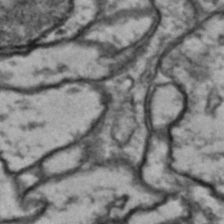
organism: Drosophila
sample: Brain